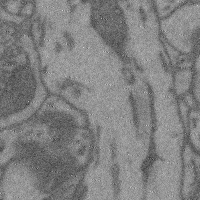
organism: Mouse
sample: Cerebral cortex